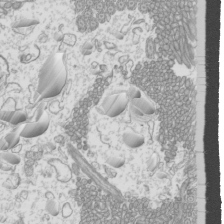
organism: Mouse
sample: Cilia; mouse epididymis